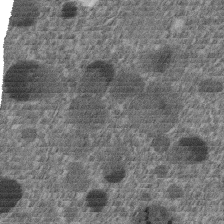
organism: C. elegans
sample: C. elegans embryo early stage